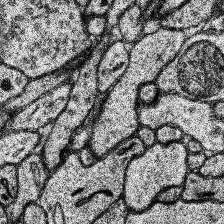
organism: Human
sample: Temporal Lobe